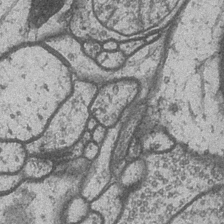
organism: Drosophila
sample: Optic medulla